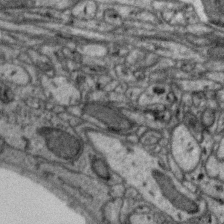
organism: Zebra finch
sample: Brain